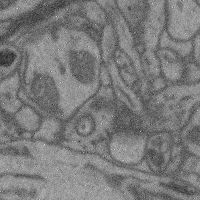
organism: Mouse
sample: Cerebral cortex